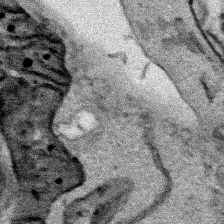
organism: Human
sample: Mitochondria in HCT116 cells